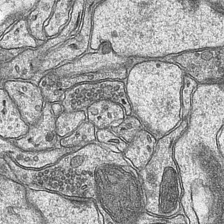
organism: Mouse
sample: CA1 Hippocampus